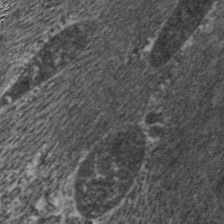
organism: C. elegans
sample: Pharynx